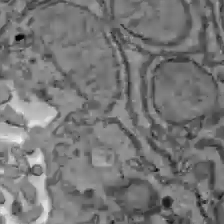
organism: C57BL Mouse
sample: Liver